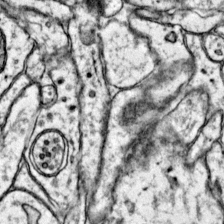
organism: Mouse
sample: Primary visual cortex